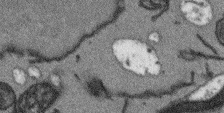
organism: Arabidopsis thaliana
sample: Root tip